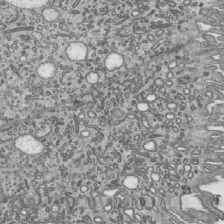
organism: Mouse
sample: Mouse epididymis efferent ductule cilia